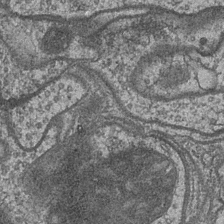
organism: Drosophila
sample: Optic medulla